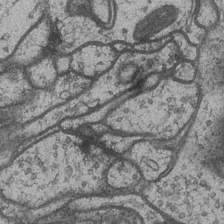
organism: Drosophila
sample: Optic medulla